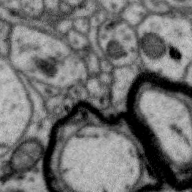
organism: Zebra finch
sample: Brain